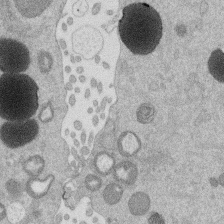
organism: Mouse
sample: Dividing mouse embryo 1 cell stage